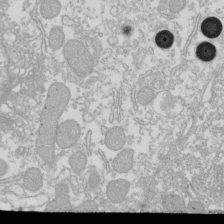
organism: Xenopus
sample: Cilia; centrioles in frog embryo cells